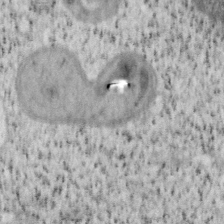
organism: Mouse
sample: OT-I killer T cells with ID8 ovarian cancer cells